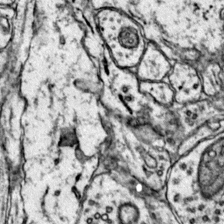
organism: Mouse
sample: Primary visual cortex